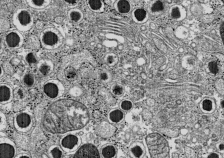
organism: C57BL Mouse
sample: Pancreatic islet